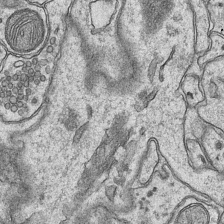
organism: Mouse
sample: CA1 Hippocampus